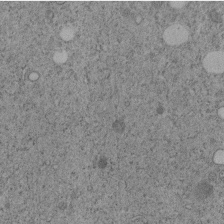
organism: C. elegans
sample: C. elegans embryo early stage